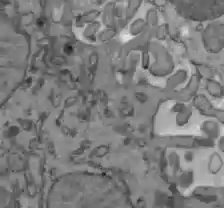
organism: C57BL Mouse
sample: Liver